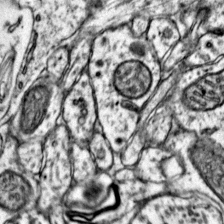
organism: Mouse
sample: Primary visual cortex